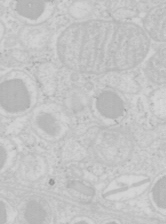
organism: Mouse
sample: Pancreas